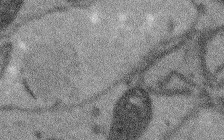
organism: Arabidopsis thaliana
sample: Root tip